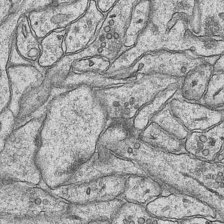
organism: Mouse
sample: CA1 Hippocampus